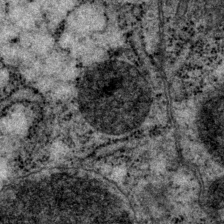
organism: P. pacificus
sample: Pharynx